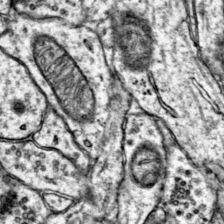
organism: Mouse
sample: Primary visual cortex